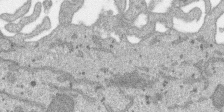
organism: Human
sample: Lung epithelial cells infected with SARS-CoV-2